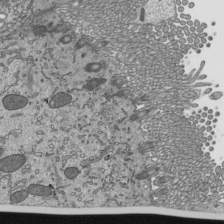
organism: Mouse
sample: Mouse epididymis efferent ductule cilia